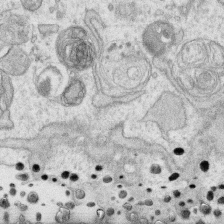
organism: Human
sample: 1205lu cells